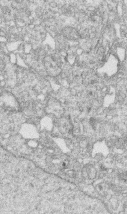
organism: Human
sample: HeLa cell HIV synapse